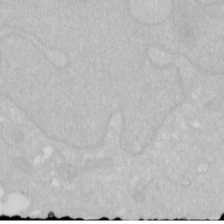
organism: Human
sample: HIV infected U937 cells